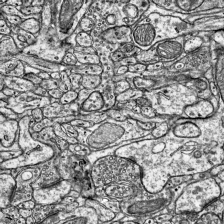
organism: Mouse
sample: Visual Cortex